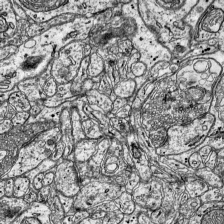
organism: Mouse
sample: Visual Cortex